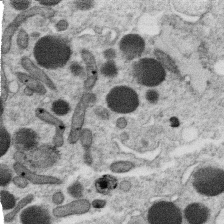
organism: C. elegans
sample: C. elegans oocyte; sperm cells